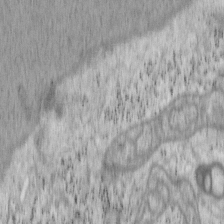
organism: Human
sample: HeLa cells